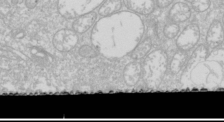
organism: Drosophila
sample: Cell division; meiosis; drosophila spermatocytes